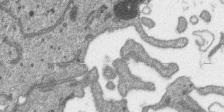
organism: Human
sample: Lung epithelial cells infected with SARS-CoV-2